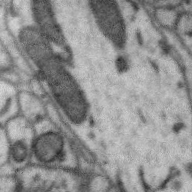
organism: Zebra finch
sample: Brain